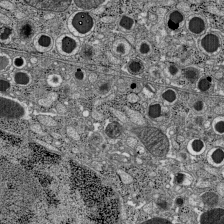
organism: C57BL Mouse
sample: Pancreatic islet